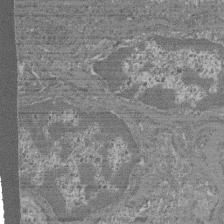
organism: Mouse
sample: Glomerulus